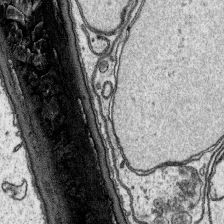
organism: Platynereis dumerilii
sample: Parapodia